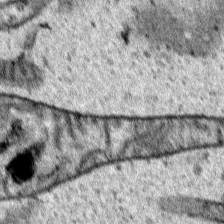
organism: Human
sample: Mitochondria in HCT116 cells